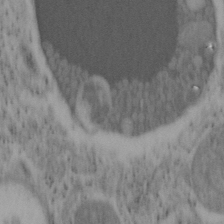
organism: Mouse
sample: OT-I killer T cells with ID8 ovarian cancer cells